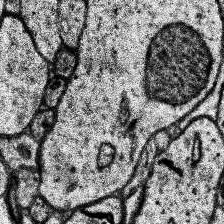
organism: Human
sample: Temporal Lobe